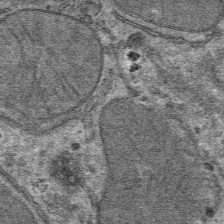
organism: Mouse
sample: Mouse hepatocytes